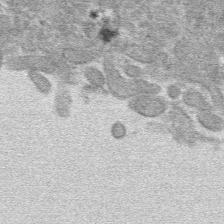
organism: Mouse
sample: Mouse hepatocytes